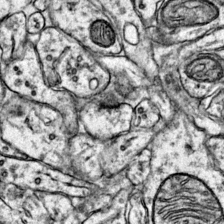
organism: Mouse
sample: Primary visual cortex